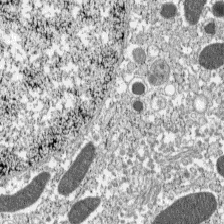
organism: C57BL Mouse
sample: Pancreatic islet